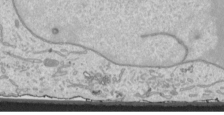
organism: Human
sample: Mitochondria in HCT116 cells